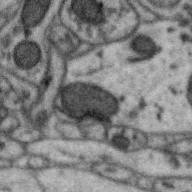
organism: Zebra finch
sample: Brain